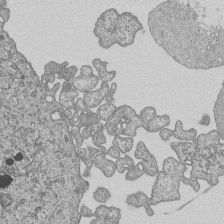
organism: Human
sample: MDA-MB-231 cells